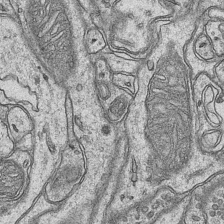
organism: Mouse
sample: CA1 Hippocampus